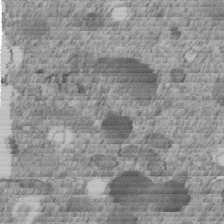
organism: C. elegans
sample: C. elegans embryo early stage